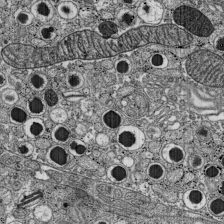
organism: C57BL Mouse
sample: Pancreatic islet